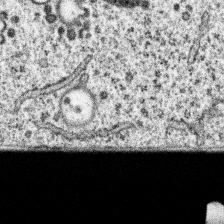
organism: Human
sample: HeLa cells